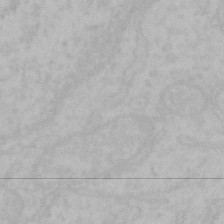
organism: Mouse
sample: Choroid plexus